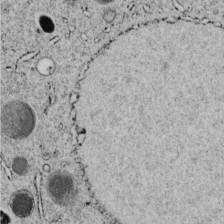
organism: C. elegans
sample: C. elegans embryo early stage